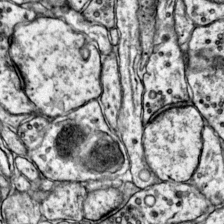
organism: Mouse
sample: Primary visual cortex